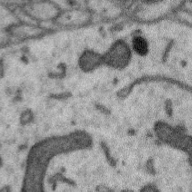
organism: Zebra finch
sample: Brain